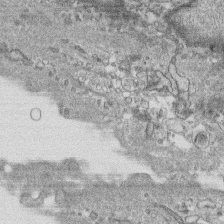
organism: Human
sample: CRL-1474